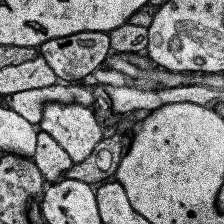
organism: Human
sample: Temporal Lobe